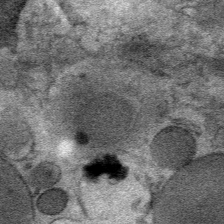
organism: Mouse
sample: Mouse Salivary gland